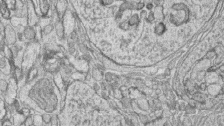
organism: Zebrafish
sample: synaptic ribbons in rod cells and cone cells